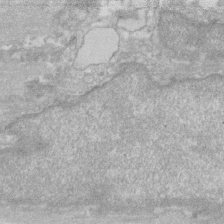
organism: Human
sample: Fibroblast cells